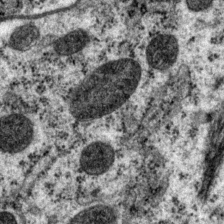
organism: P. pacificus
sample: Pharynx